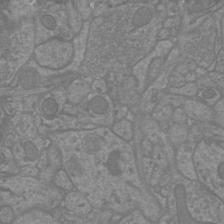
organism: Mouse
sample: Cortical neurons